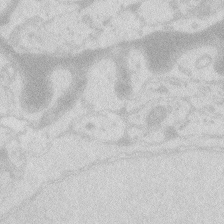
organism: Zebrafish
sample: Macrophage